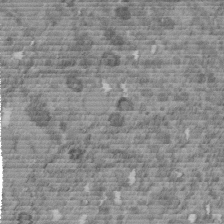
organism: C. elegans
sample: C. elegans embryo early stage